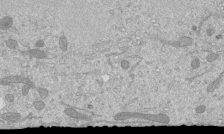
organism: Mouse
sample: ED-1 cell nuclei; centrioles